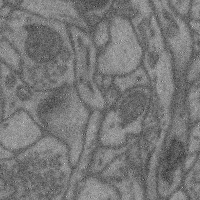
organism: Mouse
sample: Cerebral cortex